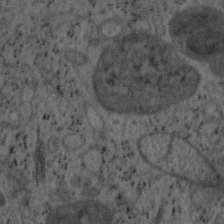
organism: Human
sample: HeLa cells